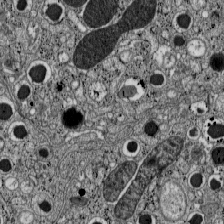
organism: C57BL Mouse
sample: Pancreatic islet